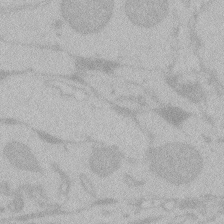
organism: Zebrafish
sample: Macrophage infected with Toxoplasma gondii